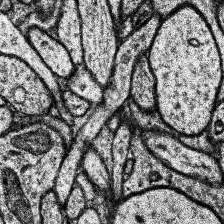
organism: Human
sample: Temporal Lobe